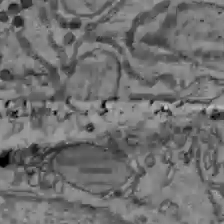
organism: C57BL Mouse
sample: Liver